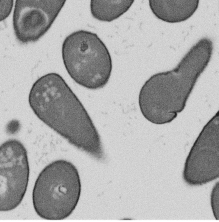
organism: B. subtilis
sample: Bacterial spore